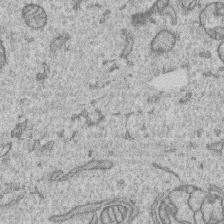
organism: Human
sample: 1205lu cells